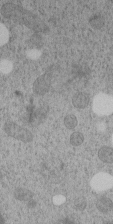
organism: C. elegans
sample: C. elegans embryo early stage